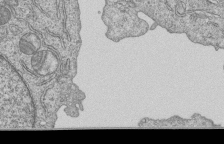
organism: Human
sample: MDA-MB-231 cells